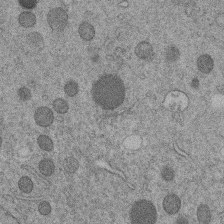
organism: C. elegans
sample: C. elegans embryo early stage